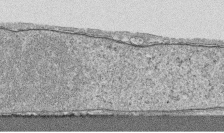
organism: Human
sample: CRL-1474